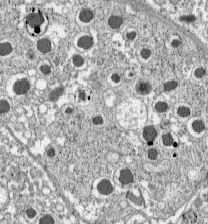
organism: C57BL Mouse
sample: Pancreatic islet